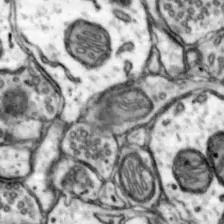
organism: Mouse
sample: Nucleus accumbens